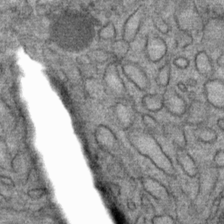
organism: Mouse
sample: Mouse Salivary gland